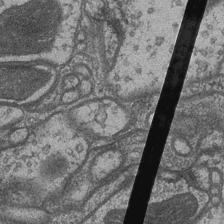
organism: Drosophila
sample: Optic medulla